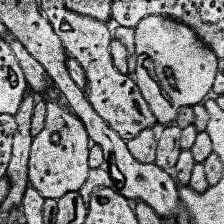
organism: Human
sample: Temporal Lobe